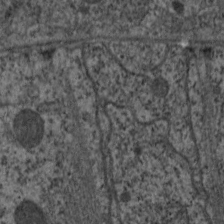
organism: C. elegans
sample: Pharynx